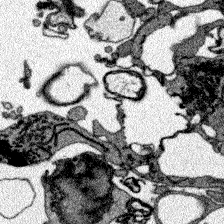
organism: Zebrafish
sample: Larval olfactory bulb